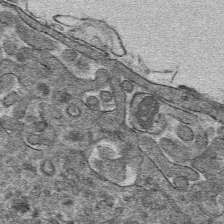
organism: Mouse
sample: Mouse hepatocytes